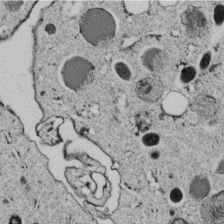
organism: C. elegans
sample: C. elegans embryo early stage